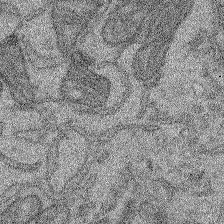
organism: Human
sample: HeLa cells